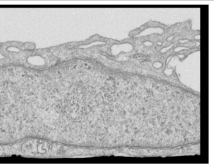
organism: Human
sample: Centriole in RPE cells